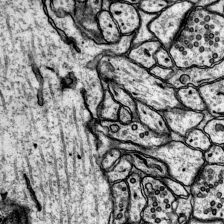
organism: Rat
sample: Hippocampus